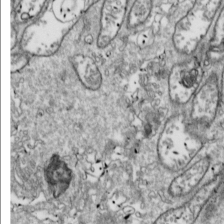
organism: Drosophila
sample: Cell division; meiosis; drosophila spermatocytes